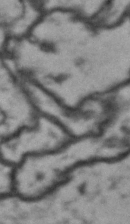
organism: Drosophila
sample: Brain